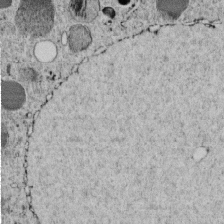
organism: C. elegans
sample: C. elegans embryo early stage